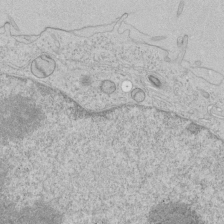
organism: Human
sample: Mitochondria in HCT116 cells